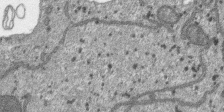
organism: Human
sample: Lung epithelial cells infected with SARS-CoV-2